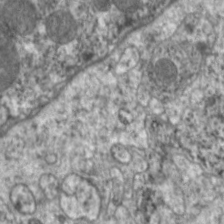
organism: C. elegans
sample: Pharynx